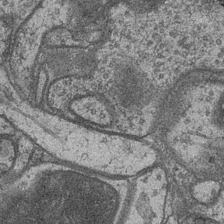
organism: Drosophila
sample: Optic medulla